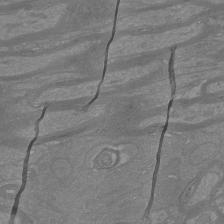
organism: Mouse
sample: Cortical neurons